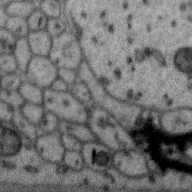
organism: Zebra finch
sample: Brain